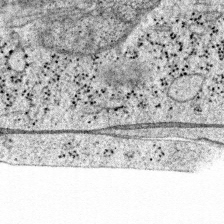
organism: Human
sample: HeLa cells